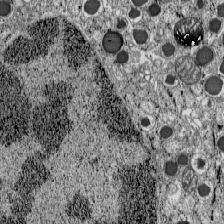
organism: C57BL Mouse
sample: Pancreatic islet